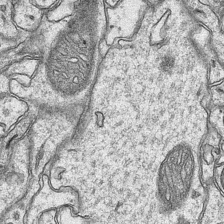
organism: Mouse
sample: CA1 Hippocampus